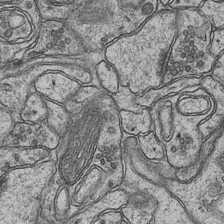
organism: Mouse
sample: CA1 Hippocampus